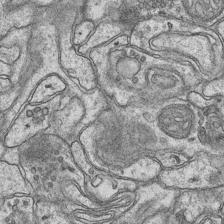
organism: Mouse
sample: CA1 Hippocampus